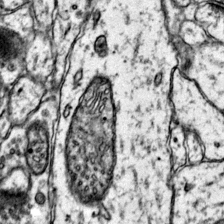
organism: Mouse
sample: Primary visual cortex